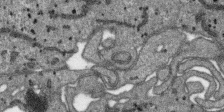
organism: Human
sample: Lung epithelial cells, uninfected (mock) control